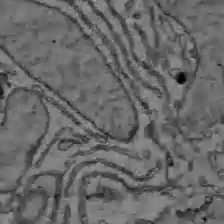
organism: C57BL Mouse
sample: Liver